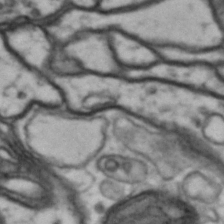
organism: Drosophila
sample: Brain